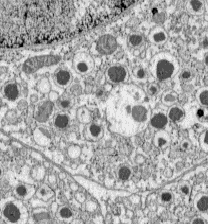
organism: C57BL Mouse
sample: Pancreatic islet